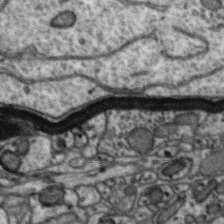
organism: Zebra finch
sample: Brain